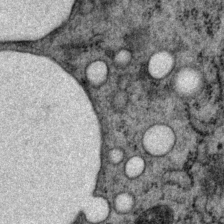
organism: P. pacificus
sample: Pharynx